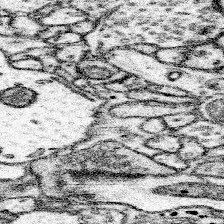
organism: Mouse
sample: Somatosensory cortex neuropil